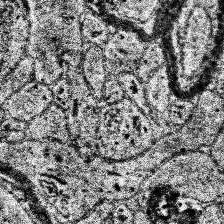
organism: Human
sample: Temporal Lobe